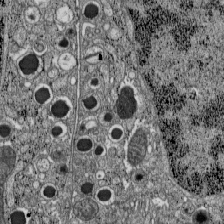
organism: C57BL Mouse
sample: Pancreatic islet